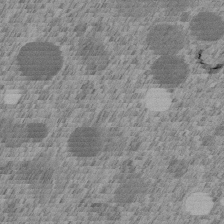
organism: C. elegans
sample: C. elegans embryo early stage